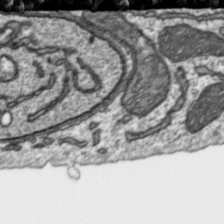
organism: Toxoplasma gondii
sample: Parasites in a vacuole inside a host cell